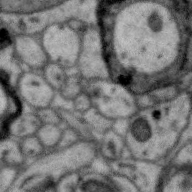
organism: Zebra finch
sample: Brain